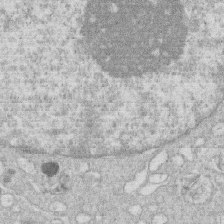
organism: Human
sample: Macrophage cells